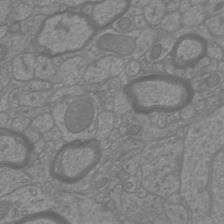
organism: Mouse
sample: Cortical neurons